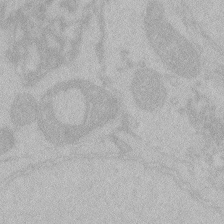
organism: Zebrafish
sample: Macrophage infected with Toxoplasma gondii